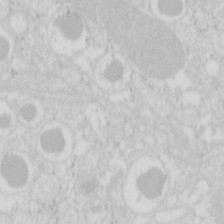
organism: Mouse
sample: Pancreas